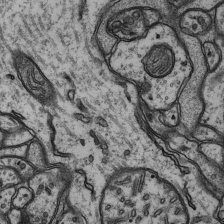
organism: Rat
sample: Hippocampus